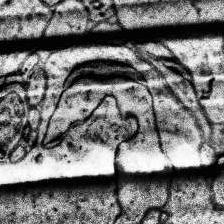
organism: Human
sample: Temporal Lobe